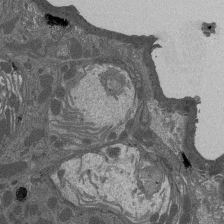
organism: Drosophila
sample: Antenna